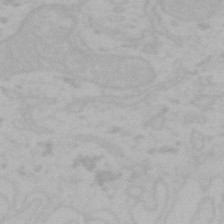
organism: Mouse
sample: Choroid plexus